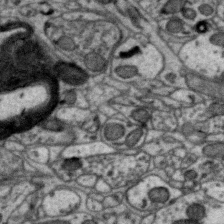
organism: Zebra finch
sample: Brain